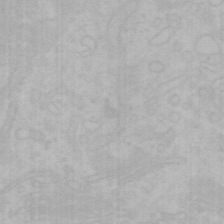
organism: Mouse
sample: Choroid plexus